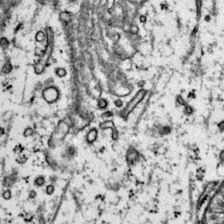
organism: Mouse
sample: Primary visual cortex